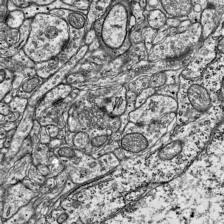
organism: Mouse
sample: Visual Cortex